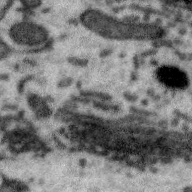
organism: Zebra finch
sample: Brain